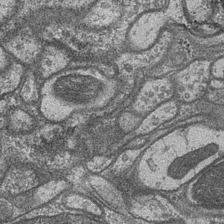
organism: Drosophila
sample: Optic medulla